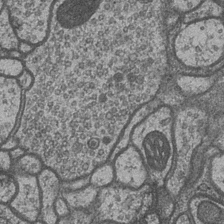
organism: Drosophila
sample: Optic medulla